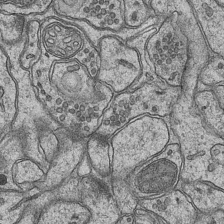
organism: Mouse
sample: CA1 Hippocampus